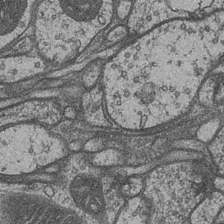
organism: Drosophila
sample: Optic medulla